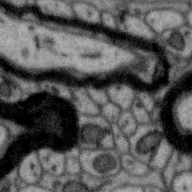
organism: Zebra finch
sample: Brain